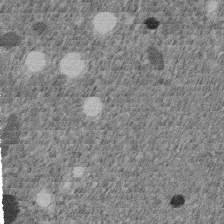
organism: C. elegans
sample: C. elegans embryo early stage